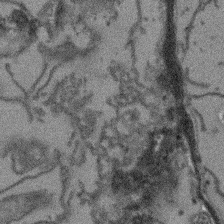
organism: Arabidopsis thaliana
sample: Root tip